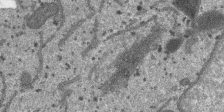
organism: Human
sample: Lung epithelial cells infected with SARS-CoV-2